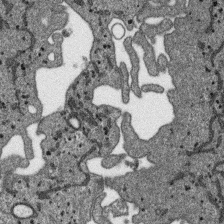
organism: Human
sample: Lung epithelial cells infected with SARS-CoV-2